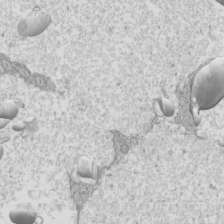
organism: Mouse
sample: Cilia; mouse epididymis